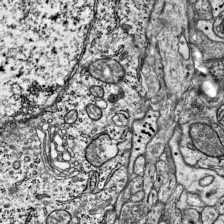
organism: Mouse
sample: Visual Cortex